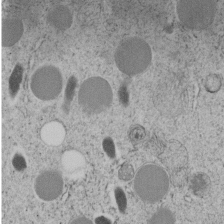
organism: C. elegans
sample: C. elegans embryo early stage